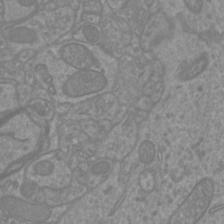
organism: Mouse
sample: Cortical neurons